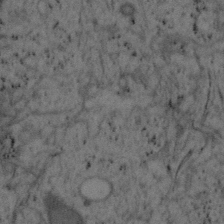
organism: Human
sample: HeLa cells